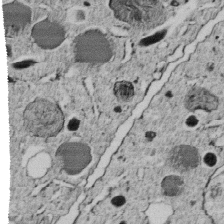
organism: C. elegans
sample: C. elegans embryo early stage